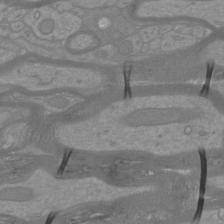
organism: Mouse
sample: Cortical neurons